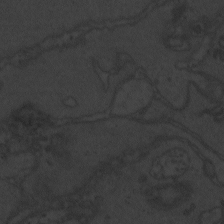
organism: Zebrafish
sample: Macrophage infected with Toxoplasma gondii